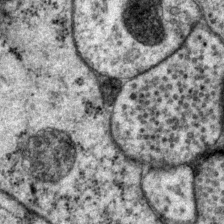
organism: P. pacificus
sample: Pharynx